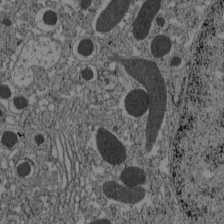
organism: C57BL Mouse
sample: Pancreatic islet